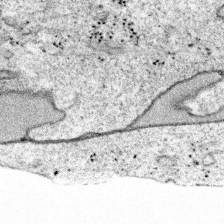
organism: Human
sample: HeLa cells